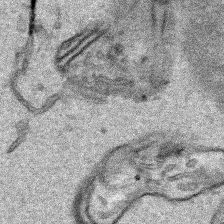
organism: Human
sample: Mitochondria in HCT116 cells